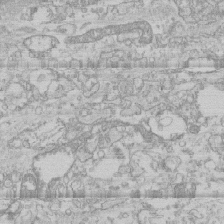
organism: Human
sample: CRL-1474